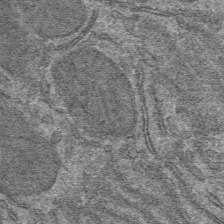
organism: Mouse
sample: Mouse hepatocytes